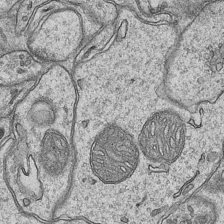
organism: Mouse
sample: CA1 Hippocampus